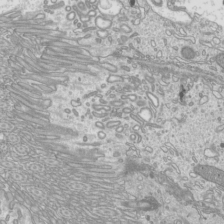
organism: Mouse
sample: Cilia; mouse epididymis